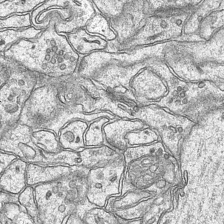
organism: Mouse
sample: CA1 Hippocampus